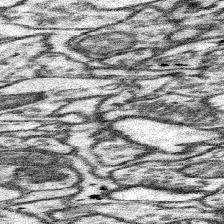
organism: Mouse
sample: Somatosensory cortex neuropil